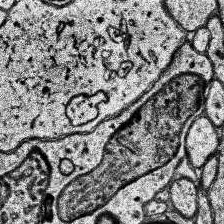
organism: Human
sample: Temporal Lobe